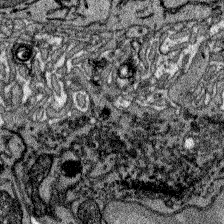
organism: Zebrafish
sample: Larval olfactory bulb